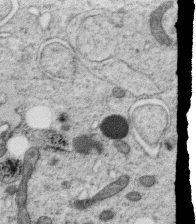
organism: C. elegans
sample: C. elegans oocyte; sperm cells